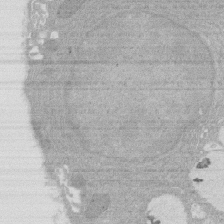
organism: Rat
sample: Salivary granule